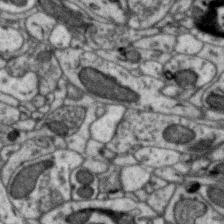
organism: Zebra finch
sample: Brain